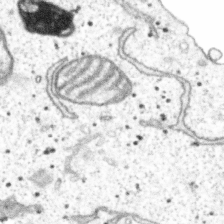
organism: Human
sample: HeLa cells